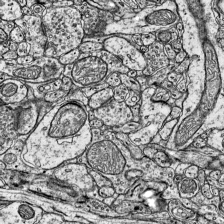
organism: Mouse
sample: Visual Cortex